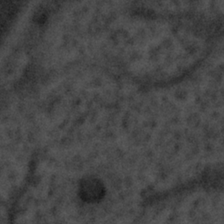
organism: Tuwongella immobilis